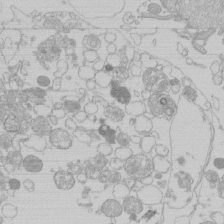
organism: Human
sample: Macrophage cells